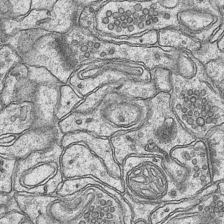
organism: Mouse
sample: CA1 Hippocampus